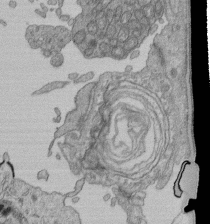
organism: Human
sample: Retinal organoid Rod and Cone cells